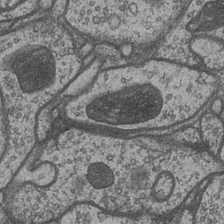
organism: Drosophila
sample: Optic medulla